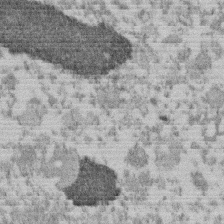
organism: Mouse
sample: Dividing mouse embryo 1 cell stage